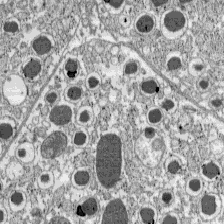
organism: C57BL Mouse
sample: Pancreatic islet